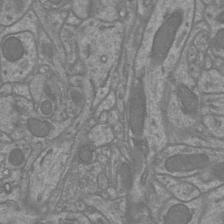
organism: Mouse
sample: Cortical neurons